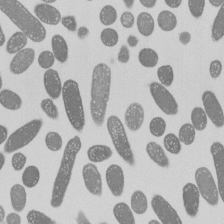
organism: E. coli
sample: Bacterial nucleoid